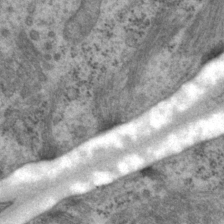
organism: P. pacificus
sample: Pharynx